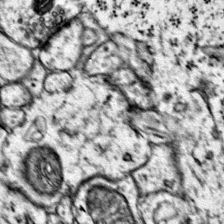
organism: Mouse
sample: Primary visual cortex